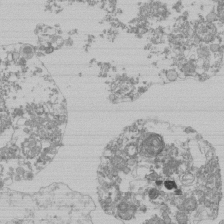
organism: Mouse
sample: Activated Pmel transgenic CD8+ T Cells